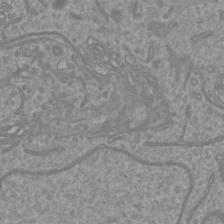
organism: Mouse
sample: Cortical neurons